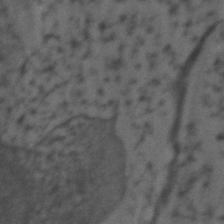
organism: Zebrafish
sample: Zebrafish embryo